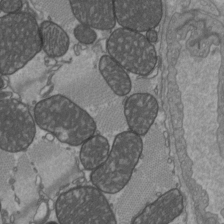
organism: C57BL Mouse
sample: Heart